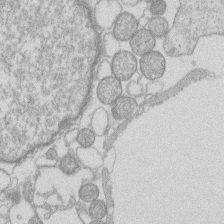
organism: Human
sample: Macrophage cells